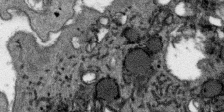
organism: Human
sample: Lung epithelial cells, uninfected (mock) control